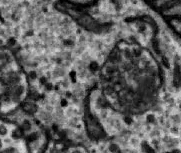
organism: Human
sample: HeLa cells